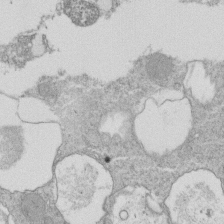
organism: Tetrahymena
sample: Cilia in tetrahymena